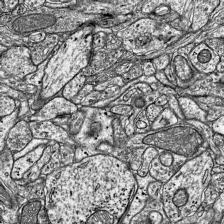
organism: Mouse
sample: Visual Cortex